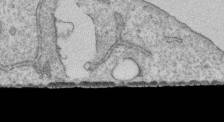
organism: Human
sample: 1205lu cells